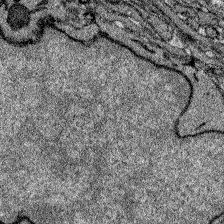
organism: Zebrafish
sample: Larval olfactory bulb